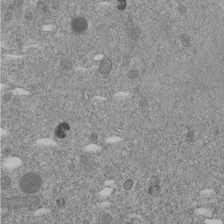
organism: C. elegans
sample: C. elegans embryo early stage